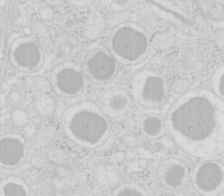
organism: Mouse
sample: Pancreas